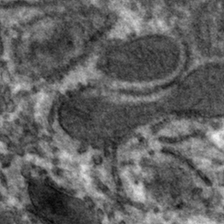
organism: Mouse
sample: Mouse hepatocytes